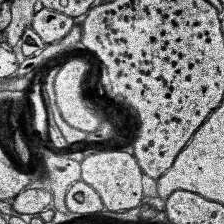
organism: Human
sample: Temporal Lobe